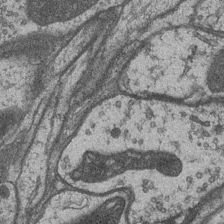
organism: Drosophila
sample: Optic medulla